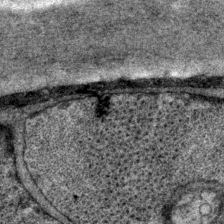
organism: P. pacificus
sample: Pharynx